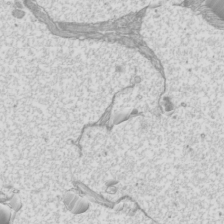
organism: Mouse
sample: Cilia; mouse epididymis